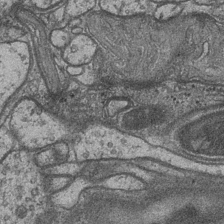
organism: Drosophila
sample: Optic medulla